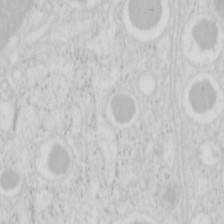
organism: Mouse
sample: Pancreas